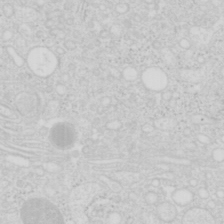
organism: Mouse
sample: Pancreas